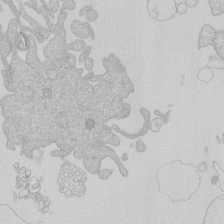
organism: Human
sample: Macrophage cells